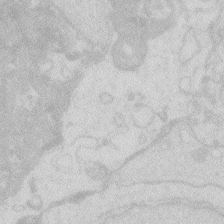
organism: Zebrafish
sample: Macrophage